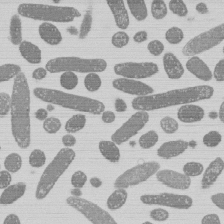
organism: E. coli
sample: Bacterial nucleoid